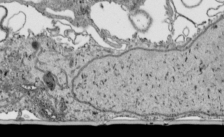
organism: Human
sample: Mitochondria in HCT116 cells